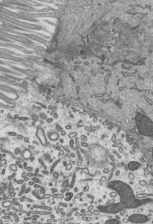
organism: Mouse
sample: Mouse epididymis efferent ductule cilia